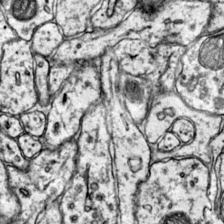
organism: Mouse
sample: Primary visual cortex